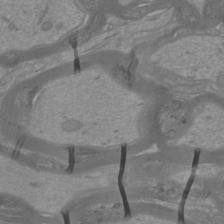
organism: Mouse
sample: Cortical neurons